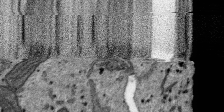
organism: Human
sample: Lung epithelial cells, uninfected (mock) control